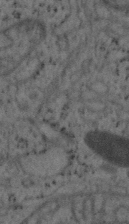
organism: Human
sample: HeLa cells